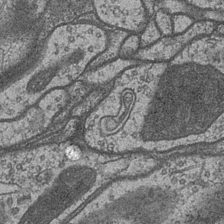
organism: Drosophila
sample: Optic medulla